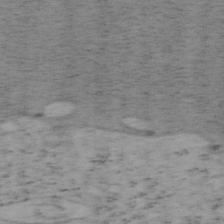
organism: Mouse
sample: OT-I killer T cells with ID8 ovarian cancer cells